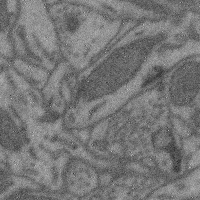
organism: Mouse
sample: Cerebral cortex